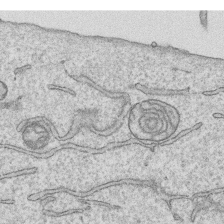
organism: Human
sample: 1205lu cells